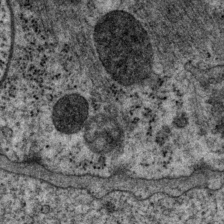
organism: P. pacificus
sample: Pharynx